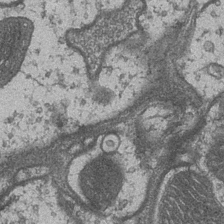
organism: Drosophila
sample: Optic medulla